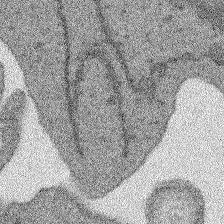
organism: Human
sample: HeLa cells